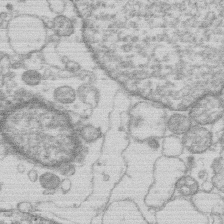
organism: Human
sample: Macrophage cells